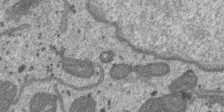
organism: Human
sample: Lung epithelial cells infected with SARS-CoV-2